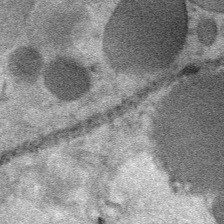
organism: Mouse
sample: Mouse Salivary gland